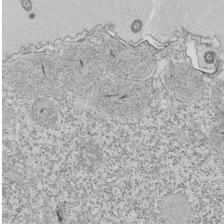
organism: Tetrahymena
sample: Cilia in tetrahymena